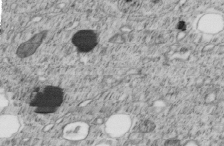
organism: C. elegans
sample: C. elegans embryo early stage